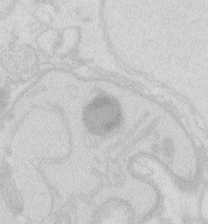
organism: Zebrafish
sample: Macrophage